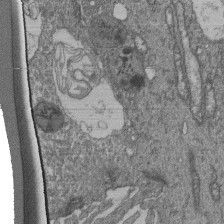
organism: Human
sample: Retinal organoid Rod and Cone cells